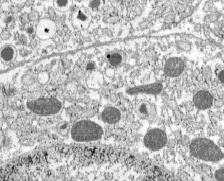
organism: C57BL Mouse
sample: Pancreatic islet